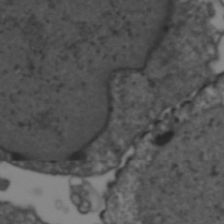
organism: Human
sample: HIV-1 Gag-iGFP